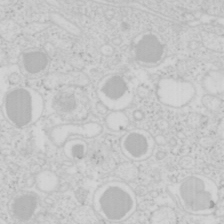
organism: Mouse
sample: Pancreas